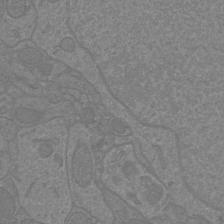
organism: Mouse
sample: Cortical neurons